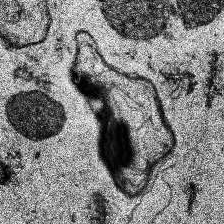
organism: Human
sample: Temporal Lobe